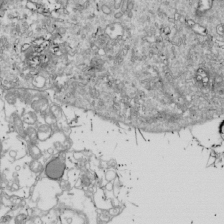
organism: Drosophila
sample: Cell division; meiosis; drosophila spermatocytes